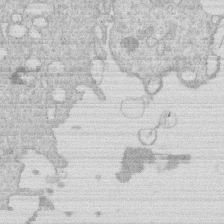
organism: Human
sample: Macrophage cells